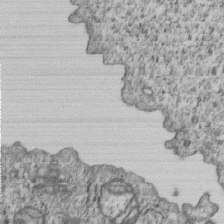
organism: Human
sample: MDA-MB-231 cells